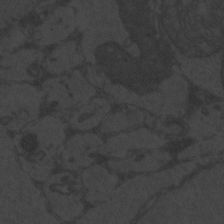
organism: Zebrafish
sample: Macrophage infected with Toxoplasma gondii